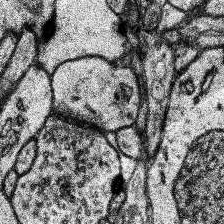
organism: Human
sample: Temporal Lobe